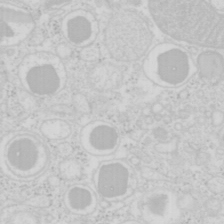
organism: Mouse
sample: Pancreas